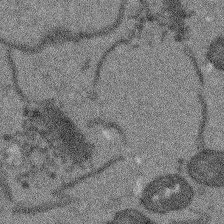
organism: Arabidopsis thaliana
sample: Root tip